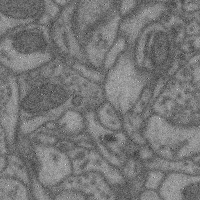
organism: Mouse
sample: Cerebral cortex